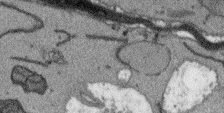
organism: Arabidopsis thaliana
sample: Root tip